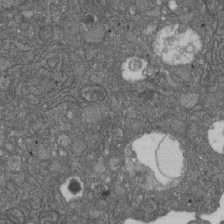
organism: Drosophila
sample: Nephrocyte